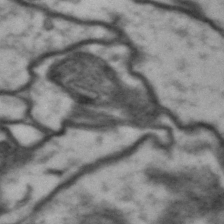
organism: Drosophila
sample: Brain